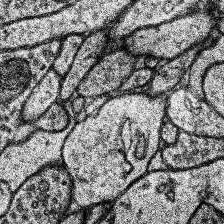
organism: Human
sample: Temporal Lobe